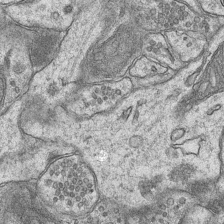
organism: Mouse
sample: CA1 Hippocampus